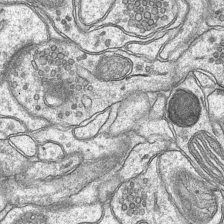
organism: Mouse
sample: CA1 Hippocampus